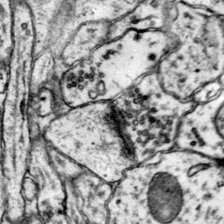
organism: Mouse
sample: Primary visual cortex